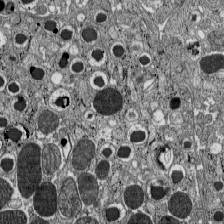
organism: C57BL Mouse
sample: Pancreatic islet